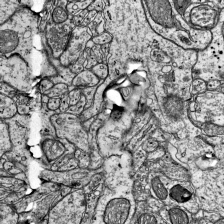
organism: Mouse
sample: Visual Cortex